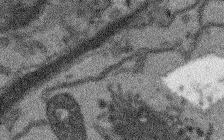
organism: Arabidopsis thaliana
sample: Root tip